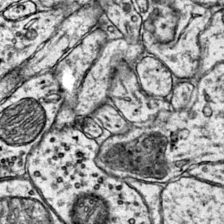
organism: Mouse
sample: Primary visual cortex